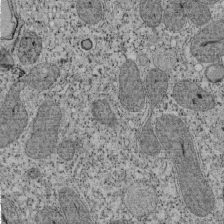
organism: Tetrahymena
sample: Cilia in tetrahymena